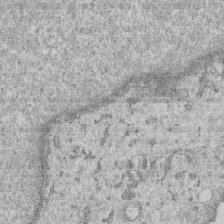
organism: Human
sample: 1205lu cells